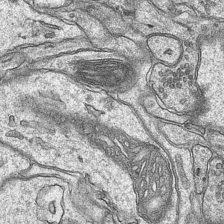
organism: Mouse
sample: CA1 Hippocampus